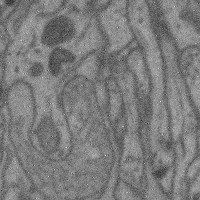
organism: Mouse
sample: Cerebral cortex